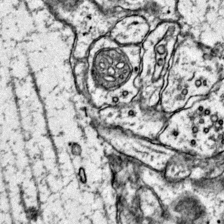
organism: Mouse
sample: Primary visual cortex